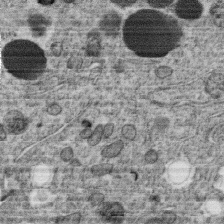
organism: C. elegans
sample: C. elegans oocyte; sperm cells